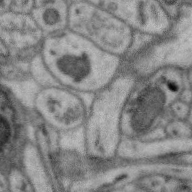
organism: Zebra finch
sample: Brain